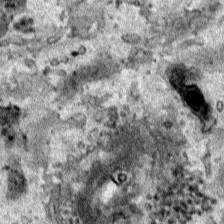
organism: Human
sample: Mitochondria in HCT116 cells